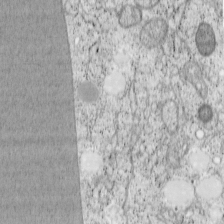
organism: African green monkey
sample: COS-7 cells